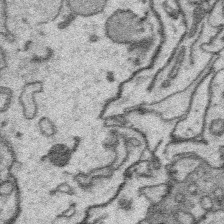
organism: Platynereis dumerilii